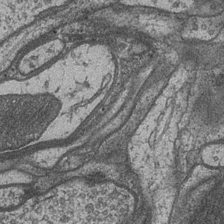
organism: Drosophila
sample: Optic medulla